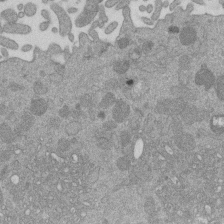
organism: Mouse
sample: Dividing mouse embryo 1 cell stage